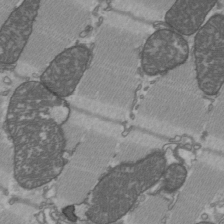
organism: C57BL Mouse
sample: Heart